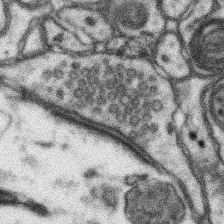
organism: Mouse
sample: Somatosensory cortex neuropil